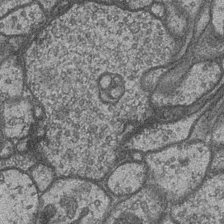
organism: Drosophila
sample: Optic medulla